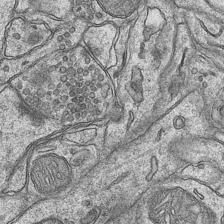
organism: Mouse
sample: CA1 Hippocampus